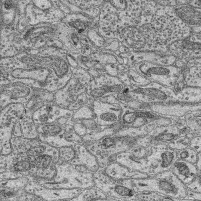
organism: Mouse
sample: Retina